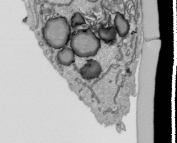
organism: Human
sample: Mitochondria in HCT116 cells